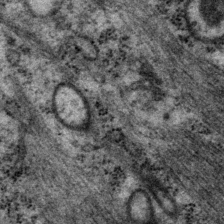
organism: P. pacificus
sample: Pharynx